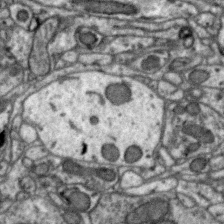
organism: Zebra finch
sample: Brain